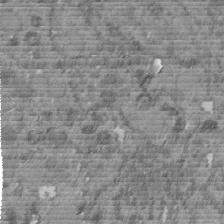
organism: C. elegans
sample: C. elegans embryo early stage